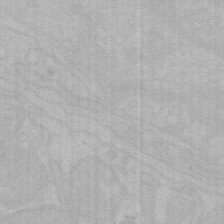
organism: Mouse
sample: Choroid plexus